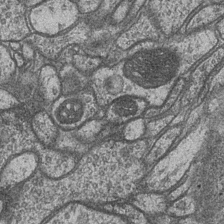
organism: Drosophila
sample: Optic medulla